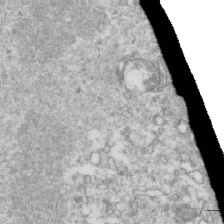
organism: Mouse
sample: Activated OT-1 CD8+ T cells